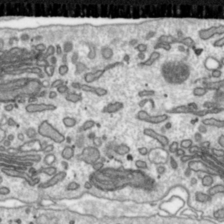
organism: Toxoplasma gondii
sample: Parasites in a vacuole inside a host cell